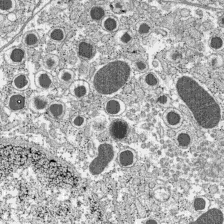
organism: C57BL Mouse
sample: Pancreatic islet